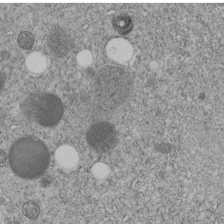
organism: C. elegans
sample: C. elegans embryo early stage